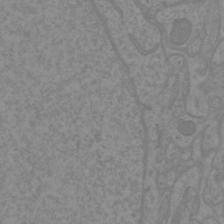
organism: Mouse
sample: Cortical neurons